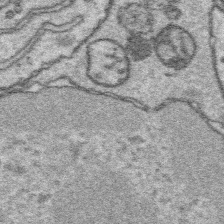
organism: Platynereis dumerilii